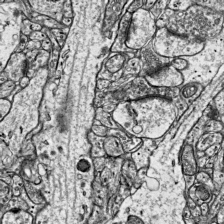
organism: Mouse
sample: Visual Cortex